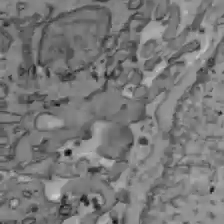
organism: C57BL Mouse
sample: Liver